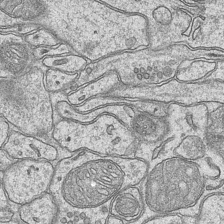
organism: Mouse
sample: CA1 Hippocampus